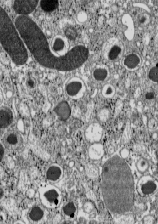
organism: C57BL Mouse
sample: Pancreatic islet